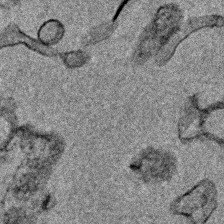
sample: Trachea